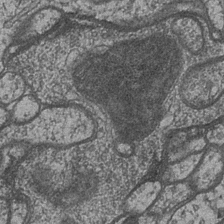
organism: Drosophila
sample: Optic medulla